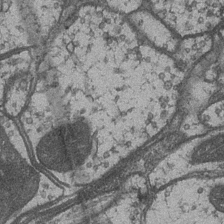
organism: Drosophila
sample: Optic medulla